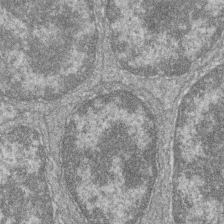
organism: Zebrafish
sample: Cilia; retinal pigment epithelium